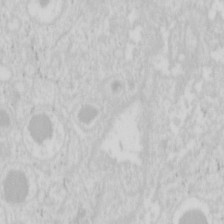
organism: Mouse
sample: Pancreas